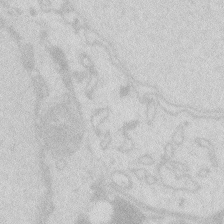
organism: Zebrafish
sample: Macrophage